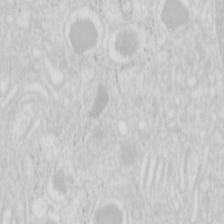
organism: Mouse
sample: Pancreas